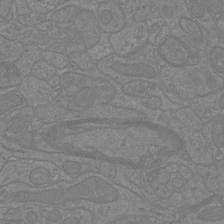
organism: Mouse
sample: Cortical neurons